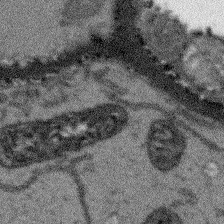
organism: Arabidopsis thaliana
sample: Root tip